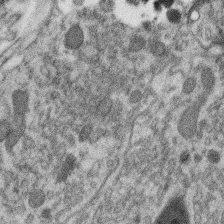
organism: C. elegans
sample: C. elegans oocyte; sperm cells